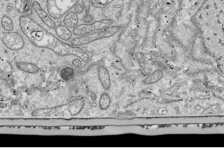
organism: Drosophila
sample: Cell division; meiosis; drosophila spermatocytes